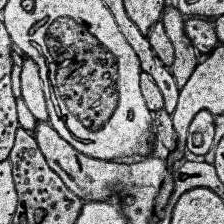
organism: Human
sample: Temporal Lobe